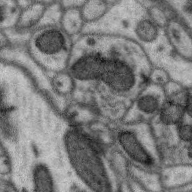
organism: Zebra finch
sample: Brain